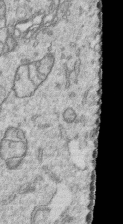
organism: Human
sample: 1205lu cells